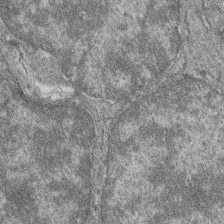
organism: Zebrafish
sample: Cilia; retinal pigment epithelium